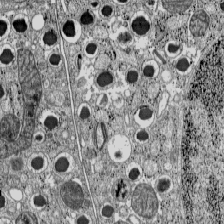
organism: C57BL Mouse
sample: Pancreatic islet